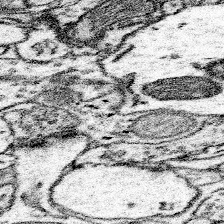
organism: Mouse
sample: Somatosensory cortex neuropil